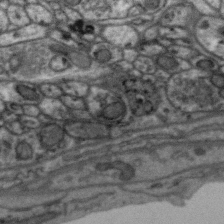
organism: Zebra finch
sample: Brain